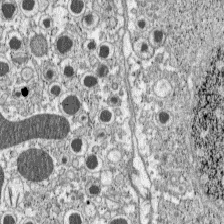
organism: C57BL Mouse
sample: Pancreatic islet